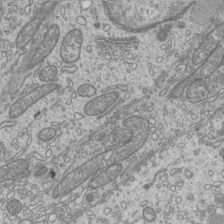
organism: Mouse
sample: Cilia; mouse epididymis